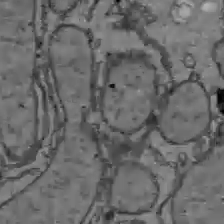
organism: C57BL Mouse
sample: Liver